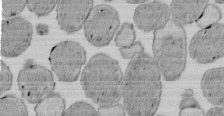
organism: E. coli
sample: Bacterial nucleoid